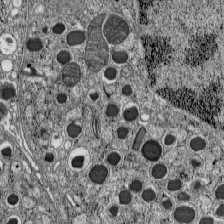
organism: C57BL Mouse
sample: Pancreatic islet